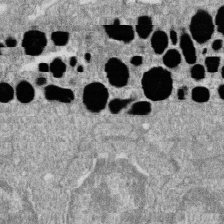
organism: Zebrafish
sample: Cilia; retinal pigment epithelium